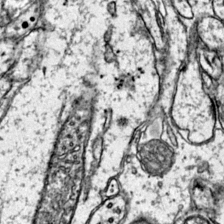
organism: Mouse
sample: Primary visual cortex